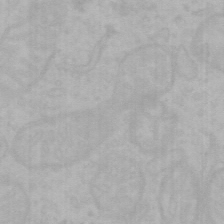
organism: Mouse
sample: Choroid plexus